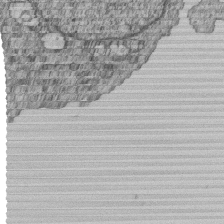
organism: Human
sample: MDA-MB-231 cells